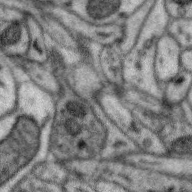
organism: Zebra finch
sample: Brain